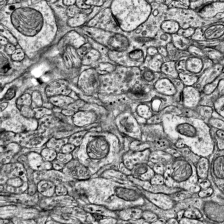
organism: Mouse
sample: Visual Cortex